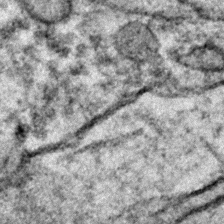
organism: Zebrafish